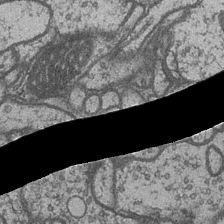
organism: Drosophila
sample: Optic medulla